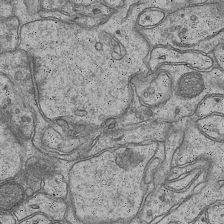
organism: Mouse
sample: CA1 Hippocampus